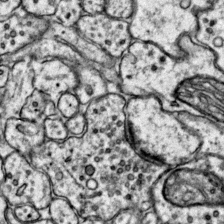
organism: Mouse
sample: Primary visual cortex